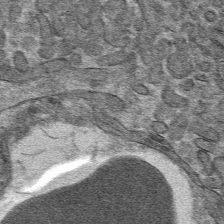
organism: Mouse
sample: Mouse hepatocytes